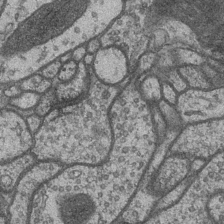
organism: Drosophila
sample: Optic medulla